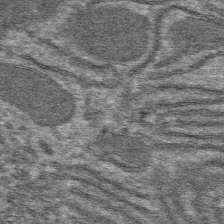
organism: Mouse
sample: Mouse hepatocytes